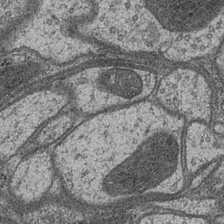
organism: Drosophila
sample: Optic medulla